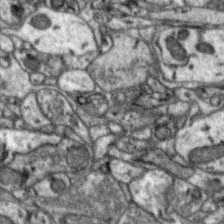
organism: Zebra finch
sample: Brain